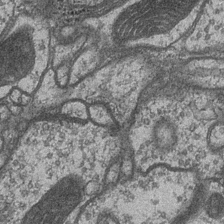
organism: Drosophila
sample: Optic medulla